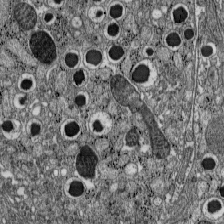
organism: C57BL Mouse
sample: Pancreatic islet